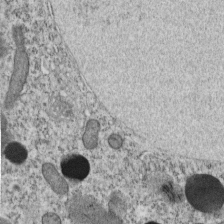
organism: C. elegans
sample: C. elegans embryo early stage